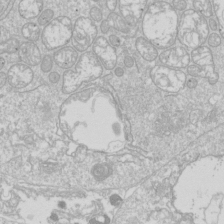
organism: Drosophila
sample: Cell division; meiosis; drosophila spermatocytes